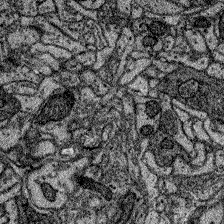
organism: Zebrafish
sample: Larval olfactory bulb